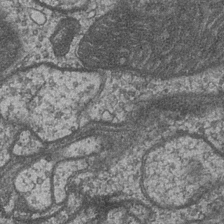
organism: Drosophila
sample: Optic medulla